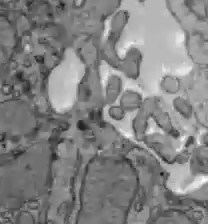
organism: C57BL Mouse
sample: Liver